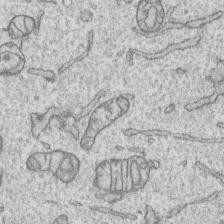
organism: Human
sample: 1205lu cells